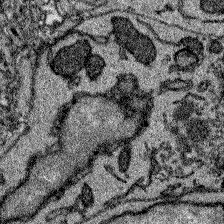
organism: Zebrafish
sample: Larval olfactory bulb